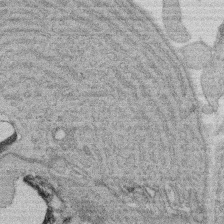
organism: Rat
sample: Salivary granule